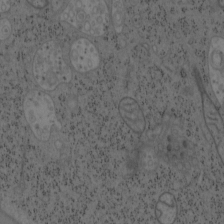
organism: Mouse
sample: OT-I killer T cells with ID8 ovarian cancer cells